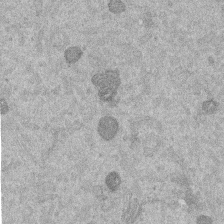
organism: Mouse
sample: Dividing mouse embryo 1 cell stage